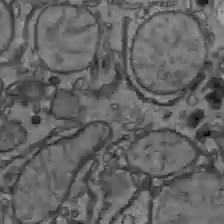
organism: C57BL Mouse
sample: Liver